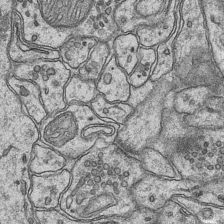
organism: Mouse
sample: CA1 Hippocampus